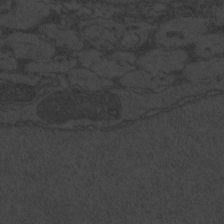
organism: Zebrafish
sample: Macrophage infected with Toxoplasma gondii